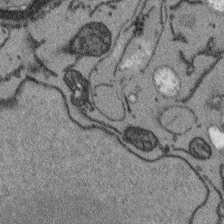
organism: Arabidopsis thaliana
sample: Root tip